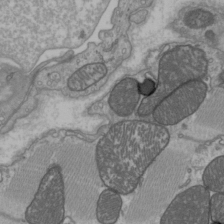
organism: C57BL Mouse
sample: Heart